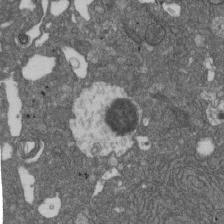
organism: Drosophila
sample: Nephrocyte